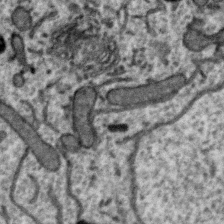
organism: Zebra finch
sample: Brain